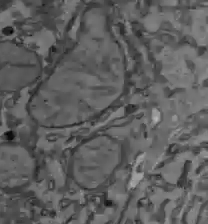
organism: C57BL Mouse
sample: Liver